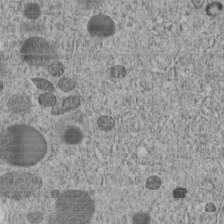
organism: C. elegans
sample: C. elegans embryo early stage